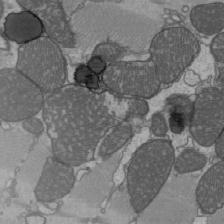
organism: C57BL Mouse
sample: Heart